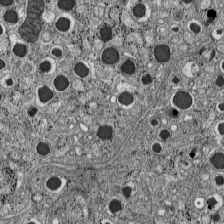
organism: C57BL Mouse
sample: Pancreatic islet